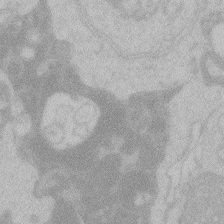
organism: Zebrafish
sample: Macrophage infected with Toxoplasma gondii